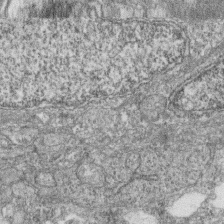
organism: Zebrafish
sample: Cilia; retinal pigment epithelium